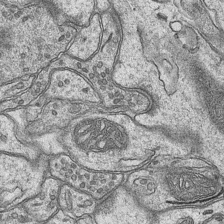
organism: Mouse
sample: CA1 Hippocampus